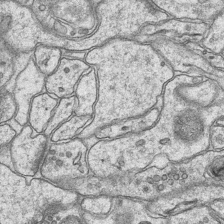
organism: Mouse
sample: CA1 Hippocampus